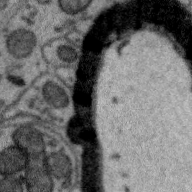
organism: Zebra finch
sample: Brain